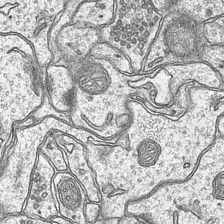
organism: Mouse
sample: CA1 Hippocampus